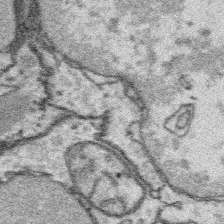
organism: Platynereis dumerilii